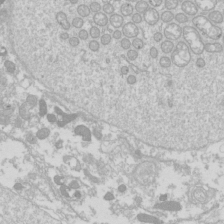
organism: Drosophila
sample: Cell division; meiosis; drosophila spermatocytes